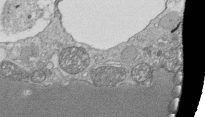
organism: Tetrahymena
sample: Cilia in tetrahymena